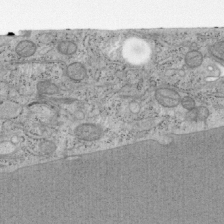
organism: Human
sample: HeLa cells